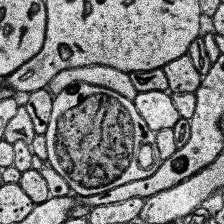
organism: Human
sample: Temporal Lobe